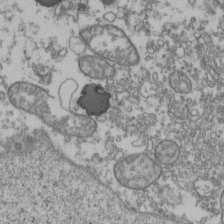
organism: Human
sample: Activated Jurkat CD4+ T cells